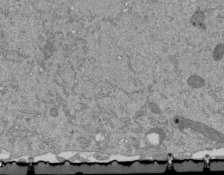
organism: Mouse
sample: ED-1 cell nuclei; centrioles